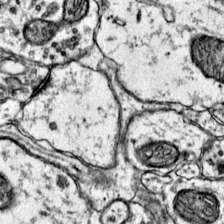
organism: Mouse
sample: Primary visual cortex